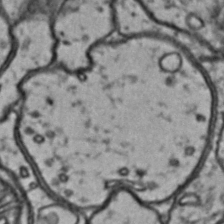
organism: Drosophila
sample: Brain